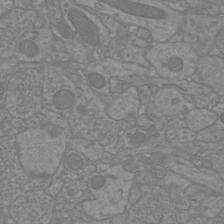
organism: Mouse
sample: Cortical neurons